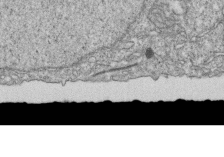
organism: Human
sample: HeLa cell HIV synapse